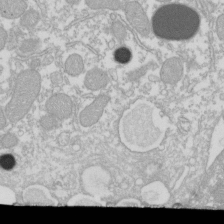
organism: Xenopus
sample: Cilia; centrioles in frog embryo cells